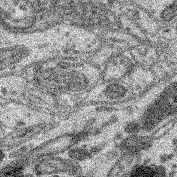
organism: Mouse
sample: Retina